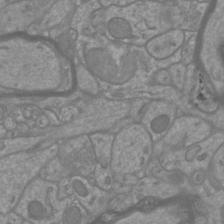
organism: Mouse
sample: Cortical neurons